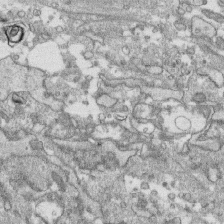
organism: Human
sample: CRL-1474